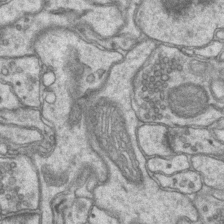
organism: Mouse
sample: CA1 Hippocampus